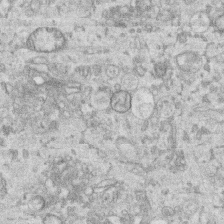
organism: Human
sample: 1205lu cells